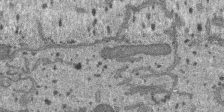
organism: Human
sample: Lung epithelial cells infected with SARS-CoV-2